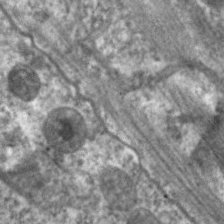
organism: C. elegans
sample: Pharynx